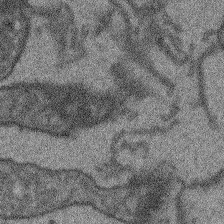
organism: Arabidopsis thaliana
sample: Root tip